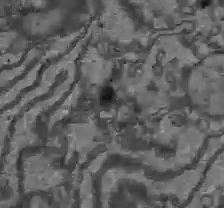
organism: C57BL Mouse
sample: Liver